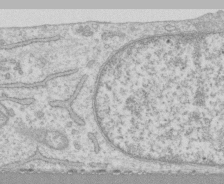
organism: Human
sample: CRL-1474